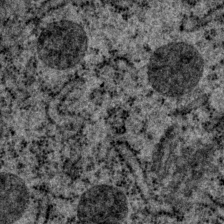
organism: P. pacificus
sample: Pharynx